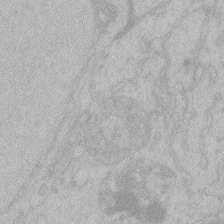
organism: Zebrafish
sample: Macrophage infected with Toxoplasma gondii